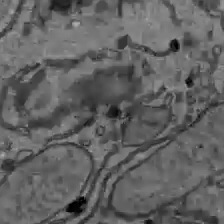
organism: C57BL Mouse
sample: Liver